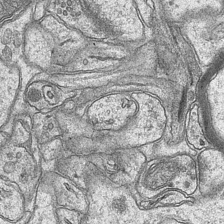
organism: Mouse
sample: CA1 Hippocampus